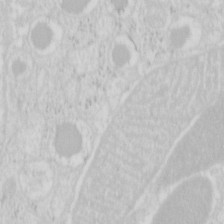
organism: Mouse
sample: Pancreas